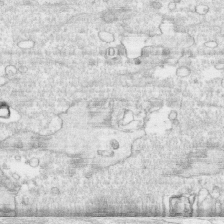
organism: Human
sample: CRL-1474